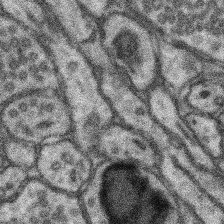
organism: Mouse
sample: Somatosensory cortex neuropil